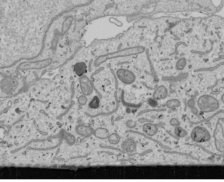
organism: Human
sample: Mitochondria in U2OS cells